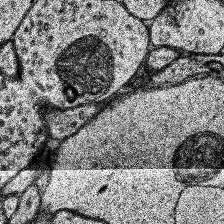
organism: Human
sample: Temporal Lobe